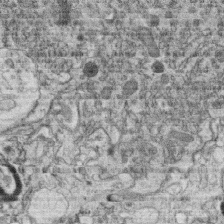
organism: C. elegans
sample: C. elegans oocyte; sperm cells